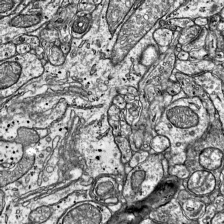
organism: Mouse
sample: Visual Cortex